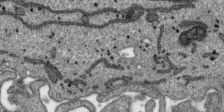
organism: Human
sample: Lung epithelial cells, uninfected (mock) control